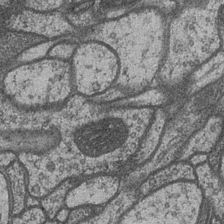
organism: Drosophila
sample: Optic medulla